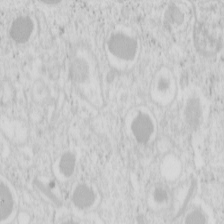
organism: Mouse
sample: Pancreas